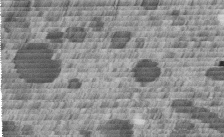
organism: C. elegans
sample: C. elegans embryo early stage